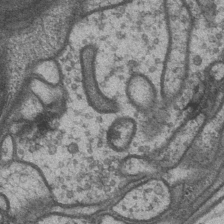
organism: Drosophila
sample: Optic medulla